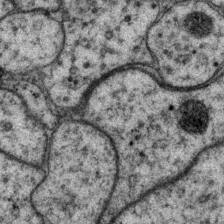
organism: P. pacificus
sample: Pharynx